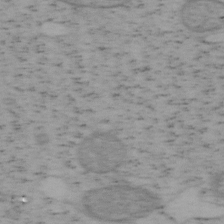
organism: Mouse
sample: OT-I killer T cells with ID8 ovarian cancer cells